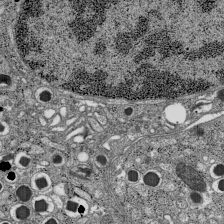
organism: C57BL Mouse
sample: Pancreatic islet